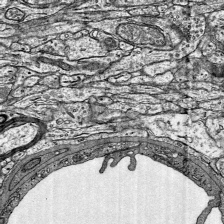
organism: Mouse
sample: Visual Cortex